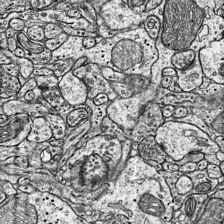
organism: Mouse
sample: Visual Cortex